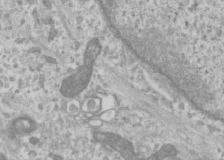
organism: Human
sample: Cilia; basal body in RPE cells